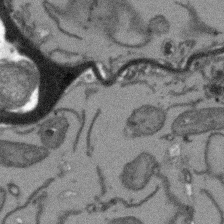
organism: Arabidopsis thaliana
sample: Root tip